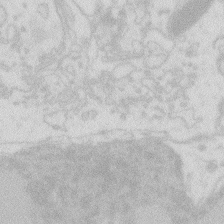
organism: Zebrafish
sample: Macrophage